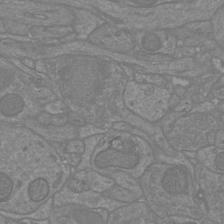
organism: Mouse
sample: Cortical neurons